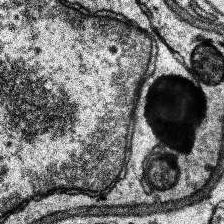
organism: Human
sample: Temporal Lobe